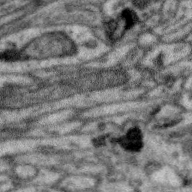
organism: Zebra finch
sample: Brain